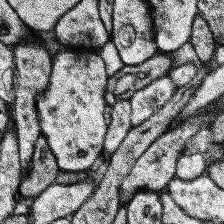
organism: Human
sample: Temporal Lobe